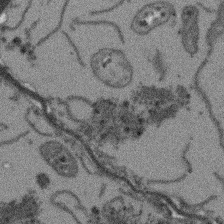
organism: Arabidopsis thaliana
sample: Root tip